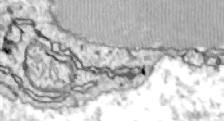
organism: Zebrafish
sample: Actinotrichia fibers